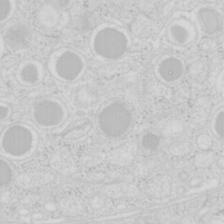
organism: Mouse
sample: Pancreas